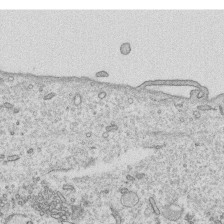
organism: Human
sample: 1205lu cells